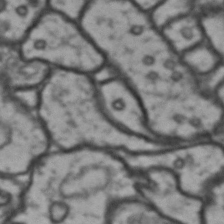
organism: Drosophila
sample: Brain